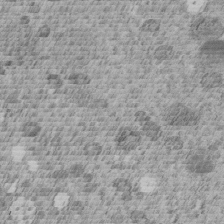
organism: C. elegans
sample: C. elegans embryo early stage